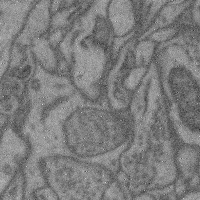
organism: Mouse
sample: Cerebral cortex